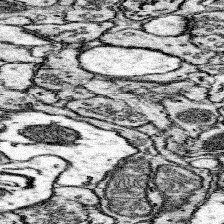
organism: Mouse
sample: Somatosensory cortex neuropil